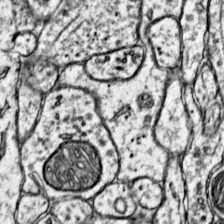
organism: Mouse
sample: Primary visual cortex